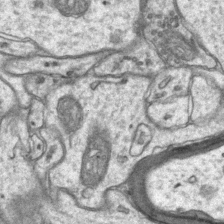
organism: Mouse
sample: CA1 Hippocampus